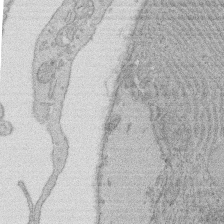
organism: Rat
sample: Salivary granule